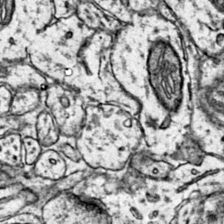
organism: Mouse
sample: Primary visual cortex